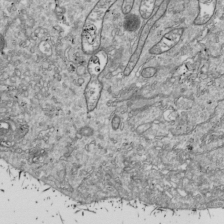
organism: Drosophila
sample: Cell division; meiosis; drosophila spermatocytes